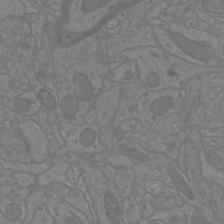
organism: Mouse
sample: Cortical neurons